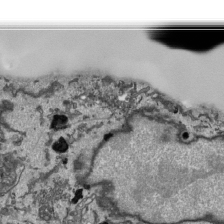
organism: Human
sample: Mitochondria in HCT116 cells